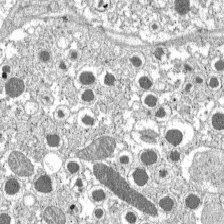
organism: C57BL Mouse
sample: Pancreatic islet